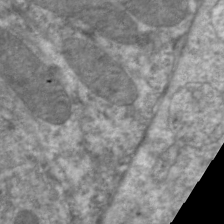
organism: C. elegans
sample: Pharynx